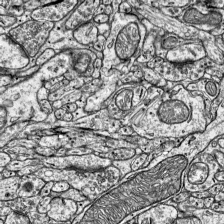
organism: Mouse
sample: Visual Cortex